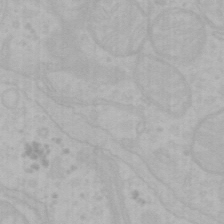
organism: Mouse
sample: Choroid plexus